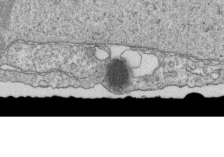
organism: Human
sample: HeLa cell HIV synapse